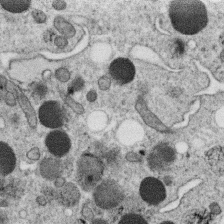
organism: C. elegans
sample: C. elegans oocyte; sperm cells